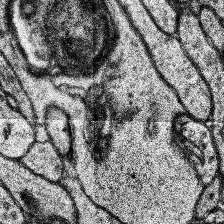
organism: Human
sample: Temporal Lobe